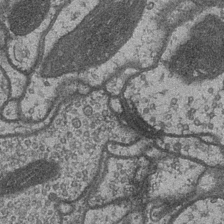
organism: Drosophila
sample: Optic medulla